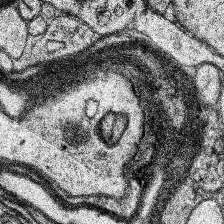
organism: Human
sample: Temporal Lobe